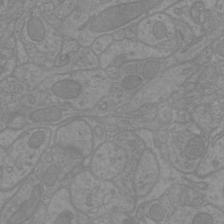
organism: Mouse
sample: Cortical neurons